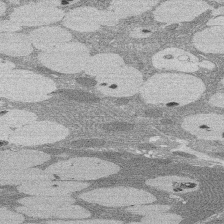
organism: Rat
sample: Salivary granule